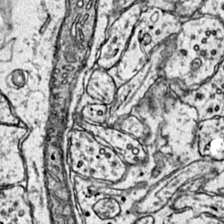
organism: Mouse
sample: Primary visual cortex